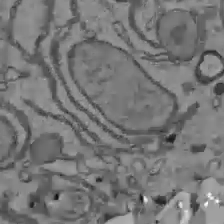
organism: C57BL Mouse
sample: Liver